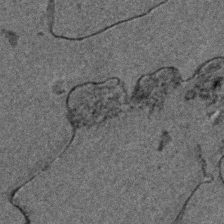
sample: Trachea